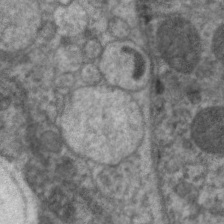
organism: C. elegans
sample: Pharynx